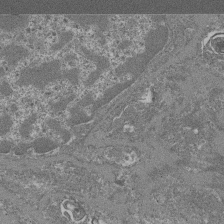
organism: Mouse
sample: Glomerulus